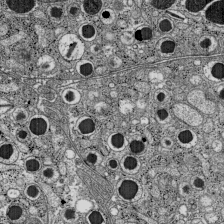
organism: C57BL Mouse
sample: Pancreatic islet